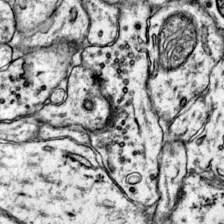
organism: Mouse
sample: Primary visual cortex